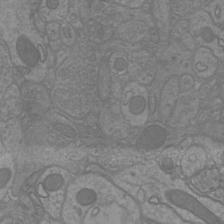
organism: Mouse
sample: Cortical neurons